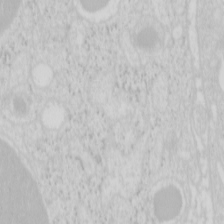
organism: Mouse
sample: Pancreas